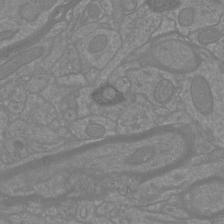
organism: Mouse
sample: Cortical neurons